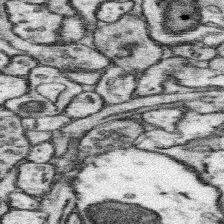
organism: Mouse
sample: Somatosensory cortex neuropil